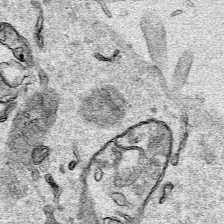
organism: Human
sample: Mitochondria in HCT116 cells